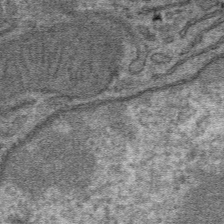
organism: Mouse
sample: Mouse hepatocytes